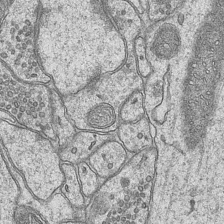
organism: Mouse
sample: CA1 Hippocampus